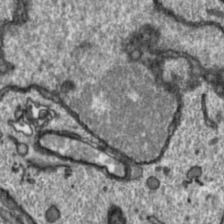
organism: Toxoplasma gondii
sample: Parasites in a vacuole inside a host cell